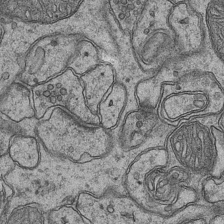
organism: Mouse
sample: CA1 Hippocampus